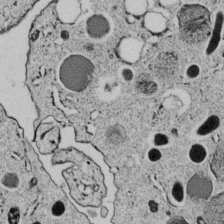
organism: C. elegans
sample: C. elegans embryo early stage